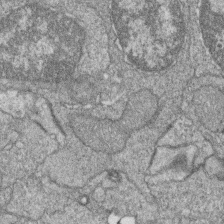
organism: Zebrafish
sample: Cilia; retinal pigment epithelium